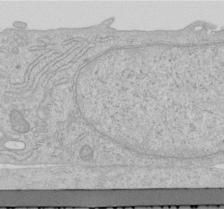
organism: Human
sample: Centriole in RPE cells